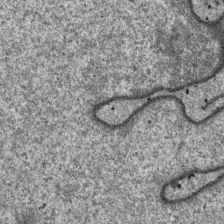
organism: Human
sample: Lung epithelial cells, uninfected (mock) control